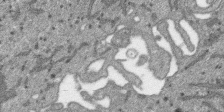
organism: Human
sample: Lung epithelial cells infected with SARS-CoV-2